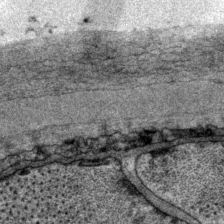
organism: P. pacificus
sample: Pharynx